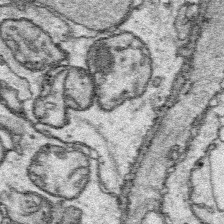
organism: Platynereis dumerilii